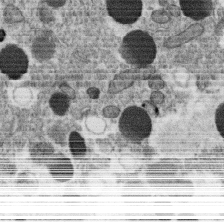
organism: C. elegans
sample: C. elegans oocyte; sperm cells